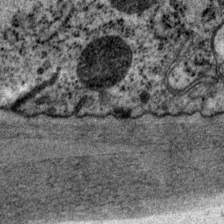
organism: P. pacificus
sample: Pharynx